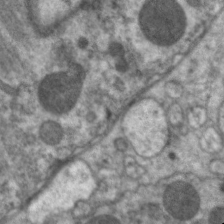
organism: C. elegans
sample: Pharynx